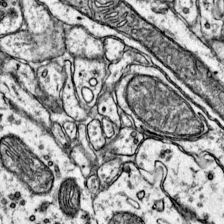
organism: Mouse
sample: Primary visual cortex